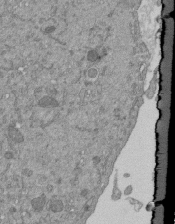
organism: Mouse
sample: ED-1 cell nuclei; centrioles